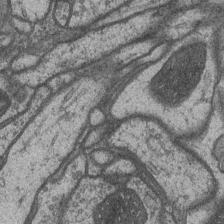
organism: Drosophila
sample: Optic medulla